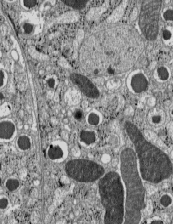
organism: C57BL Mouse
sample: Pancreatic islet